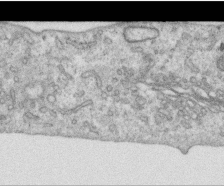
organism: Human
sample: Centriole in RPE cells